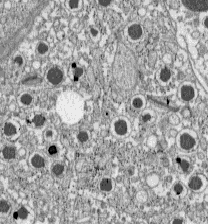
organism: C57BL Mouse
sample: Pancreatic islet